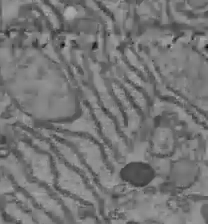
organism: C57BL Mouse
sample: Liver